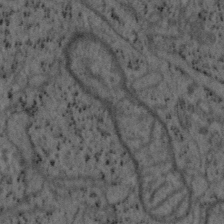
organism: Human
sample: HeLa cells